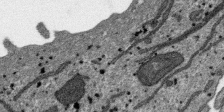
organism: Human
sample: Lung epithelial cells, uninfected (mock) control